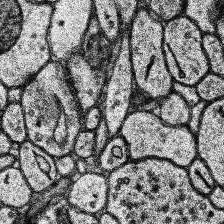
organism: Human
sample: Temporal Lobe